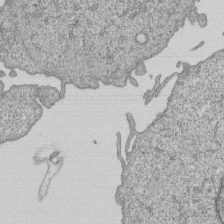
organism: Human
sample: MDA-MB-231 cells